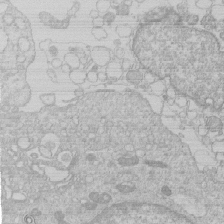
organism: Human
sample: Macrophage cells